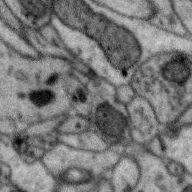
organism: Zebra finch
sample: Brain